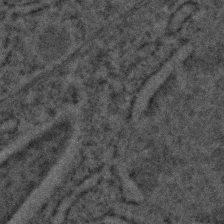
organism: C. elegans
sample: C. elegans embryo